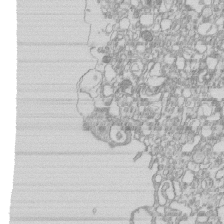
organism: Mouse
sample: Macrophages